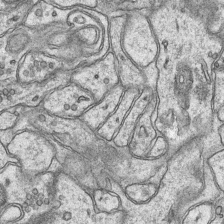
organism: Mouse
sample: CA1 Hippocampus